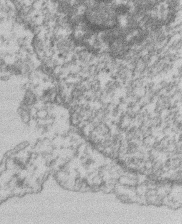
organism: Mouse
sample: T cell stromal cell synapse